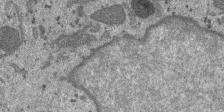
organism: Human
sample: Lung epithelial cells infected with SARS-CoV-2